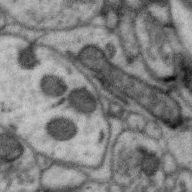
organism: Zebra finch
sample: Brain